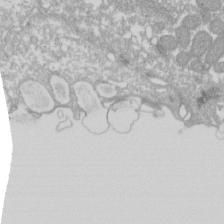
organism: Xenopus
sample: Cilia; centrioles in frog embryo cells